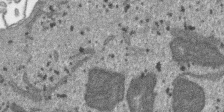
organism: Human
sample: Lung epithelial cells infected with SARS-CoV-2